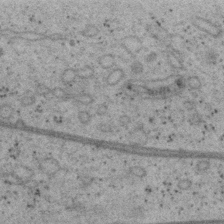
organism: Human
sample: HeLa cells